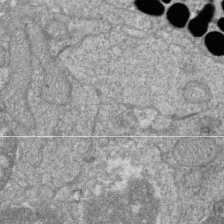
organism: Zebrafish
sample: Cilia; retinal pigment epithelium